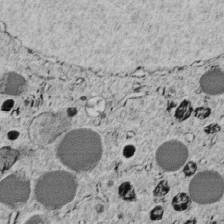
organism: C. elegans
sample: C. elegans embryo early stage